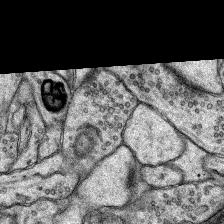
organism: Rat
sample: Hippocampus